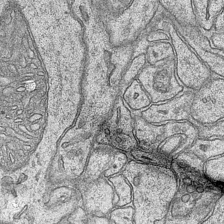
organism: Mouse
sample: CA1 Hippocampus